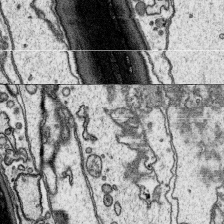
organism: Platynereis dumerilii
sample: Parapodia